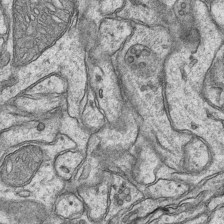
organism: Mouse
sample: CA1 Hippocampus